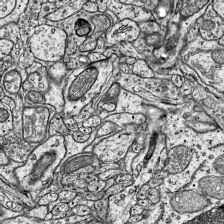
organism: Mouse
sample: Visual Cortex